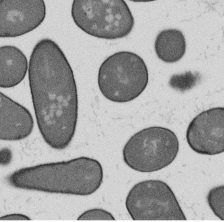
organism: B. subtilis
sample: Bacterial spore